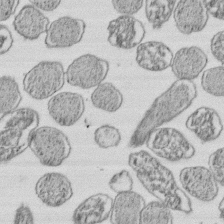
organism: E. coli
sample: Bacterial nucleoid